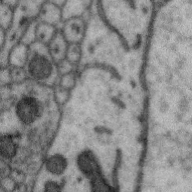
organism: Zebra finch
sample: Brain